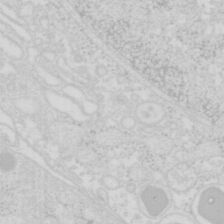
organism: Mouse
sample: Pancreas